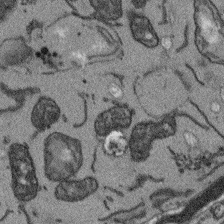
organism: Arabidopsis thaliana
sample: Root tip